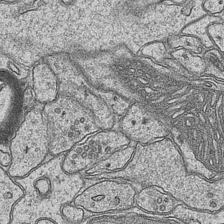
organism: Mouse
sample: CA1 Hippocampus